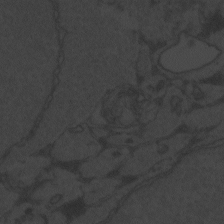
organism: Zebrafish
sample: Macrophage infected with Toxoplasma gondii